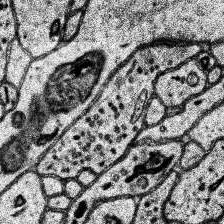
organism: Human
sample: Temporal Lobe